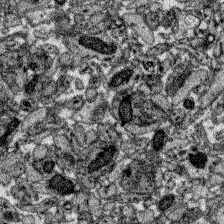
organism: Zebrafish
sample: Larval olfactory bulb